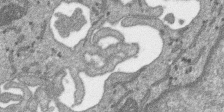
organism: Human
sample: Lung epithelial cells infected with SARS-CoV-2